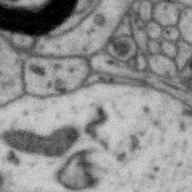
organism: Zebra finch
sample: Brain